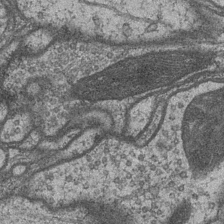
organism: Drosophila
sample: Optic medulla